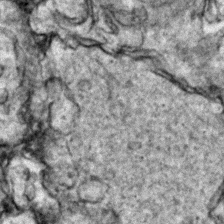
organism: Zebrafish